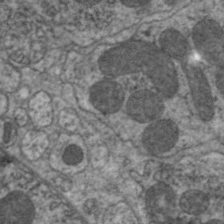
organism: C. elegans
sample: Pharynx